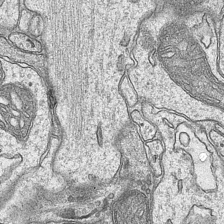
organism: Mouse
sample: CA1 Hippocampus